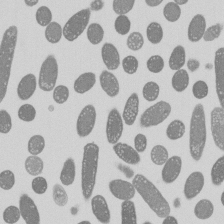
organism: E. coli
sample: Bacterial nucleoid